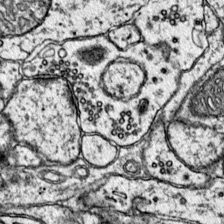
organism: Mouse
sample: Primary visual cortex